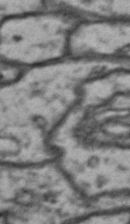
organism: Drosophila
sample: Brain